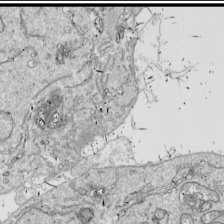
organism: Drosophila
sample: Cell division; meiosis; drosophila spermatocytes